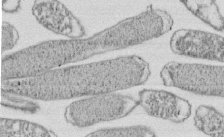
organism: E. coli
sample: Bacterial nucleoid